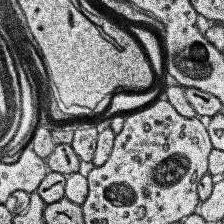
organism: Human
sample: Temporal Lobe